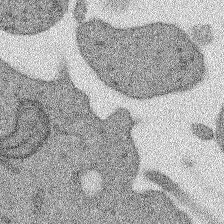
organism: Human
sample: HeLa cells